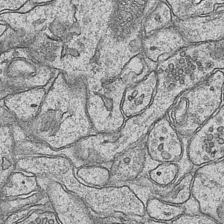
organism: Mouse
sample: CA1 Hippocampus